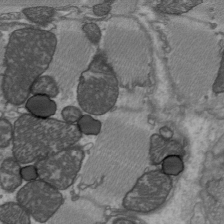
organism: C57BL Mouse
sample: Heart